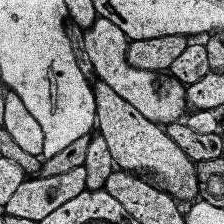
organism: Human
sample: Temporal Lobe